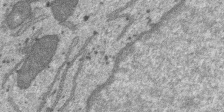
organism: Human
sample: Lung epithelial cells infected with SARS-CoV-2